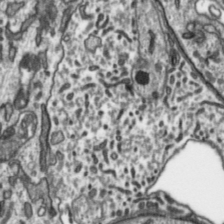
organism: Toxoplasma gondii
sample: Parasites in a vacuole inside a host cell